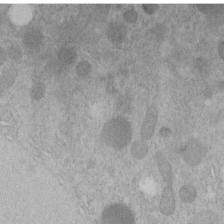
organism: C. elegans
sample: C. elegans embryo early stage